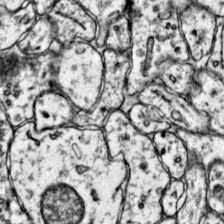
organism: Mouse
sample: Primary visual cortex